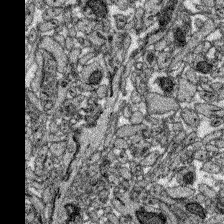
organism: Zebrafish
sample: Larval olfactory bulb